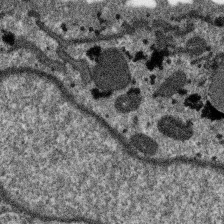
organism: Human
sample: Lung epithelial cells infected with SARS-CoV-2